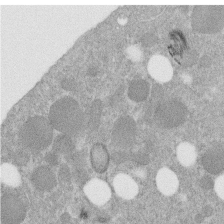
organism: C. elegans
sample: C. elegans embryo early stage